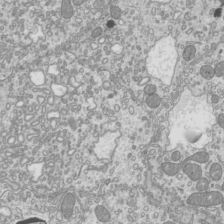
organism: Mouse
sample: Cilia; mouse epididymis